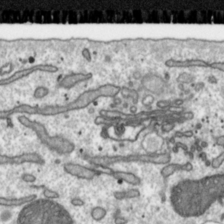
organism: Toxoplasma gondii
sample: Parasites in a vacuole inside a host cell